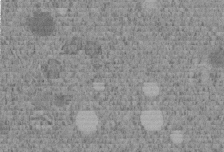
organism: C. elegans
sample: C. elegans embryo early stage